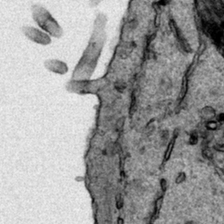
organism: Human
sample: Mitochondria in HCT116 cells